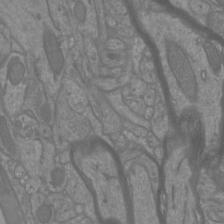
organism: Mouse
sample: Cortical neurons